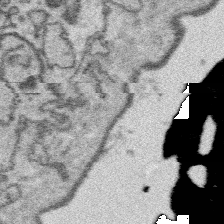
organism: Platynereis dumerilii